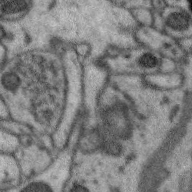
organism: Zebra finch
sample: Brain